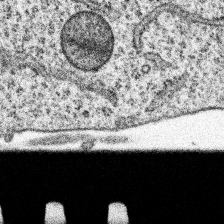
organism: Human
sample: HeLa cells